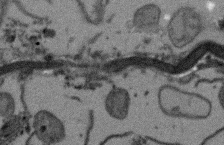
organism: Arabidopsis thaliana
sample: Root tip